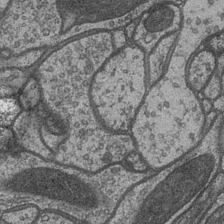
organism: Drosophila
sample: Optic medulla